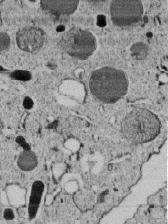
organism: C. elegans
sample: C. elegans embryo early stage